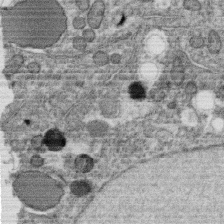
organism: C. elegans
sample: C. elegans oocyte; sperm cells